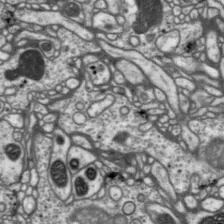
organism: Drosophila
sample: Protocerebral bridge